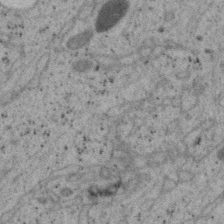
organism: Human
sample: HeLa cells